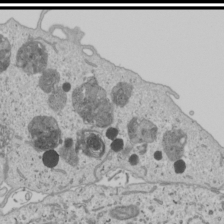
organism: Human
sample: Mitochondria in U2OS cells